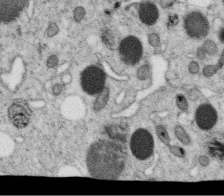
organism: C. elegans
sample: C. elegans oocyte; sperm cells